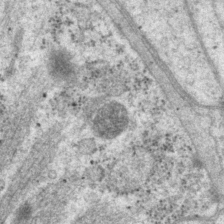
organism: P. pacificus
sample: Pharynx